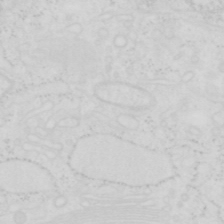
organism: Human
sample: SUM-159 cell